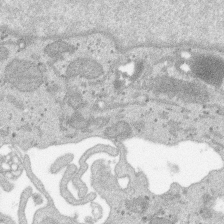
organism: Human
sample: Lung epithelial cells infected with SARS-CoV-2